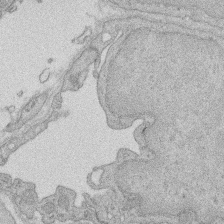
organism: Rat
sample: Salivary granule